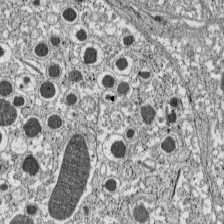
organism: C57BL Mouse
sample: Pancreatic islet